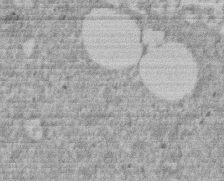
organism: Mouse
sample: Dividing mouse embryo 1 cell stage